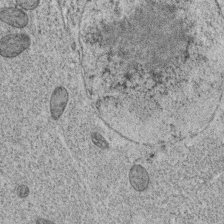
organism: C. elegans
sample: C. elegans oocyte; sperm cells